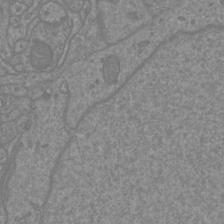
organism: Mouse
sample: Cortical neurons